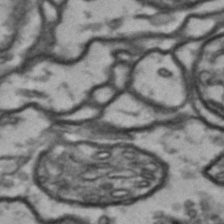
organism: Drosophila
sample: Brain